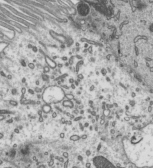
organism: Mouse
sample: Mouse epididymis efferent ductule cilia